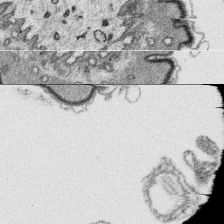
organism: Platynereis dumerilii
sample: Parapodia